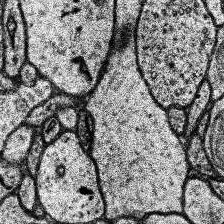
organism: Human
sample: Temporal Lobe